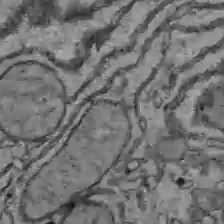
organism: C57BL Mouse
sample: Liver